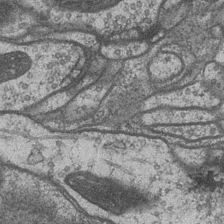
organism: Drosophila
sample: Optic medulla